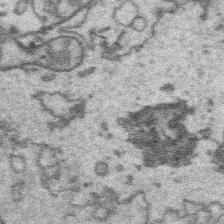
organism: Platynereis dumerilii